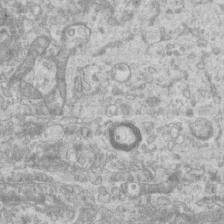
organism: Mouse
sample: Centriole in ependymal cells